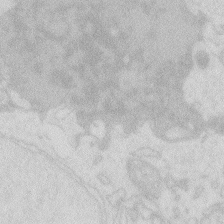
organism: Zebrafish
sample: Macrophage